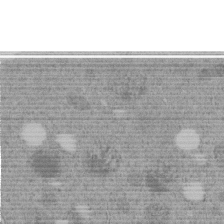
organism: C. elegans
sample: C. elegans embryo early stage